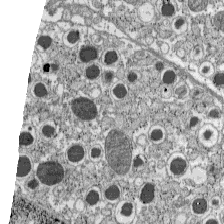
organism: C57BL Mouse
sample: Pancreatic islet